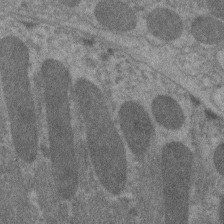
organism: C. elegans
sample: Pharynx